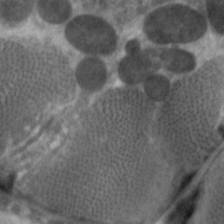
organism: C. elegans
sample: Pharynx